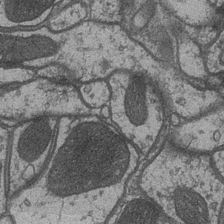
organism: Drosophila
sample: Optic medulla